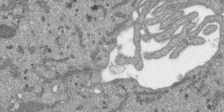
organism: Human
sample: Lung epithelial cells infected with SARS-CoV-2